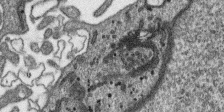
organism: Human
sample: Lung epithelial cells infected with SARS-CoV-2